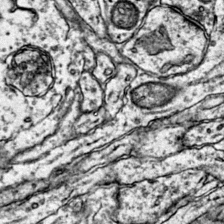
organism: Mouse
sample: Primary visual cortex